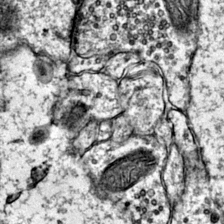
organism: Mouse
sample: Primary visual cortex